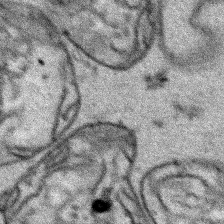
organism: Human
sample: Mitochondria in HCT116 cells